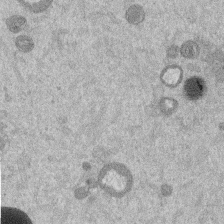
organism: Mouse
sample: Dividing mouse embryo 1 cell stage